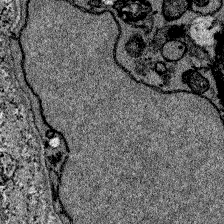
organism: Zebrafish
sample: Larval olfactory bulb